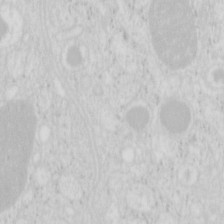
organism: Mouse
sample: Pancreas